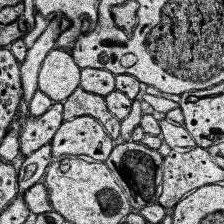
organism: Human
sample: Temporal Lobe